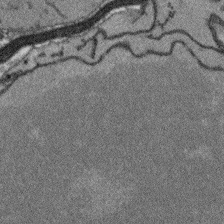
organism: Arabidopsis thaliana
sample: Root tip